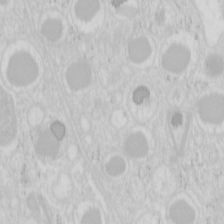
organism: Mouse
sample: Pancreas